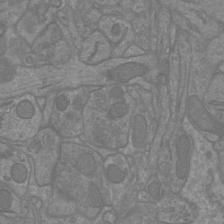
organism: Mouse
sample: Cortical neurons